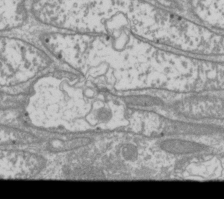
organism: Drosophila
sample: Cell division; meiosis; drosophila spermatocytes